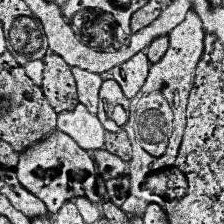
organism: Human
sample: Temporal Lobe